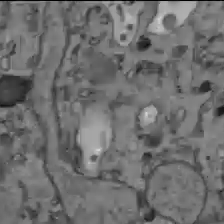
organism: C57BL Mouse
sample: Liver